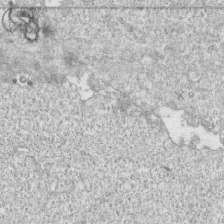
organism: Human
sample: HeLa cell HIV synapse